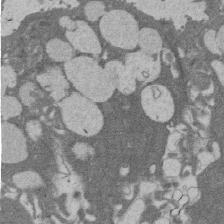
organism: Rat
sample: Salivary granule